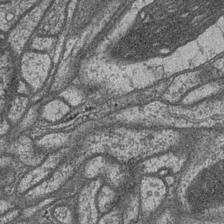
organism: Drosophila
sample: Optic medulla